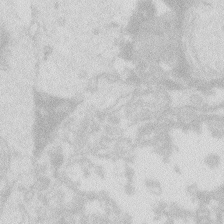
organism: Zebrafish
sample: Macrophage